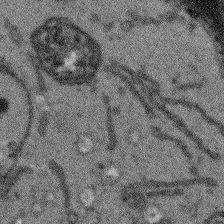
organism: Arabidopsis thaliana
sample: Root tip